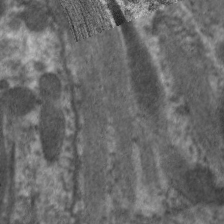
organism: C. elegans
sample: Pharynx